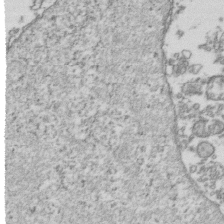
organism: Human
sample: Activated Jurkat CD4+ T cells